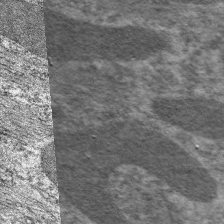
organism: C. elegans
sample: Pharynx